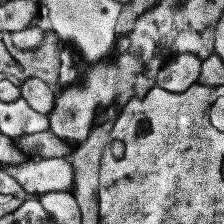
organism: Human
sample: Temporal Lobe